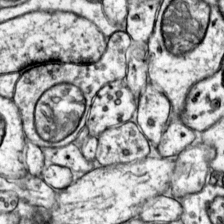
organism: Mouse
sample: Primary visual cortex